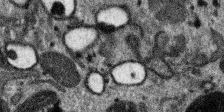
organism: Human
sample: Lung epithelial cells infected with SARS-CoV-2